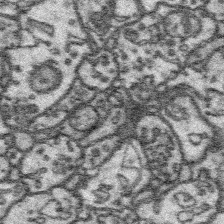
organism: Platynereis dumerilii